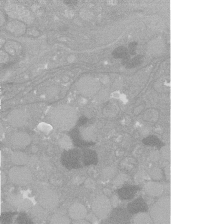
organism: C. elegans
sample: C. elegans oocyte; sperm cells